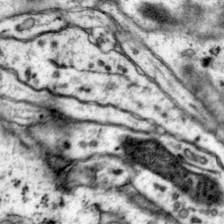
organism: Mouse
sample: Primary visual cortex